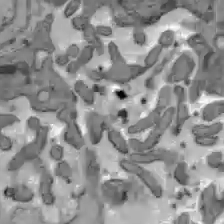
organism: C57BL Mouse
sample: Liver